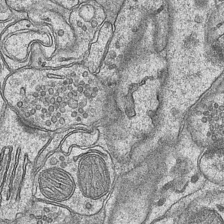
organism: Mouse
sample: CA1 Hippocampus